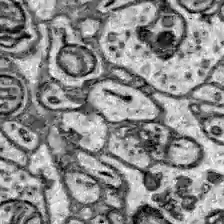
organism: Zebrafish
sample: Brain